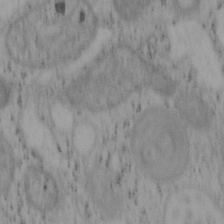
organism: Mouse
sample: OT-I killer T cells with ID8 ovarian cancer cells